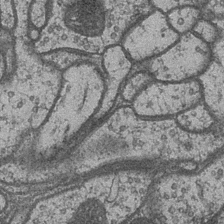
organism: Drosophila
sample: Optic medulla